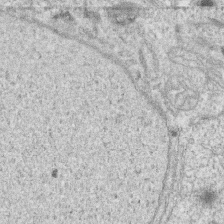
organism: Human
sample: HeLa cell HIV synapse